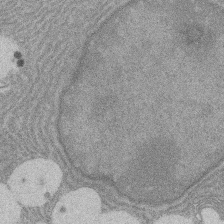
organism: Rat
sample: Salivary granule